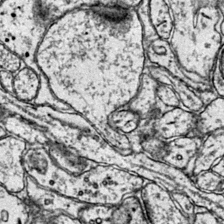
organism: Mouse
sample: Primary visual cortex